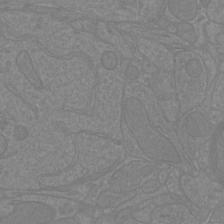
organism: Mouse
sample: Cortical neurons